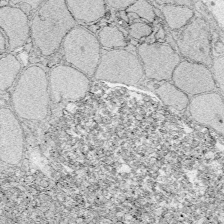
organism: Zebrafish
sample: Whole-Brain